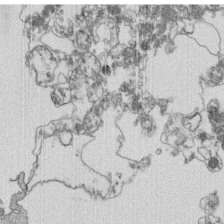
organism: Human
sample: HeLa cell HIV synapse